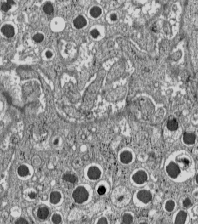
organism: C57BL Mouse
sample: Pancreatic islet